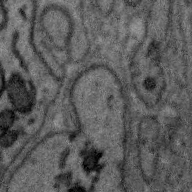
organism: Zebra finch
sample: Brain